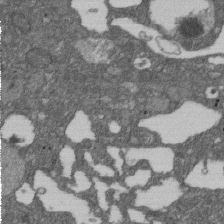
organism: Drosophila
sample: Nephrocyte